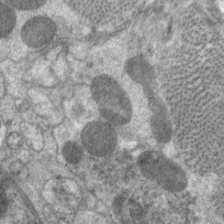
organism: C. elegans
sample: Pharynx